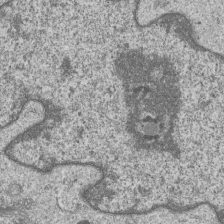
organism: Human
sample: MDA-MB-231 cells